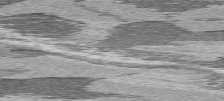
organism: C57BL Mouse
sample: Heart